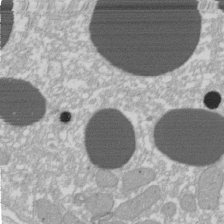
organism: Xenopus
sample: Cilia; centrioles in frog embryo cells